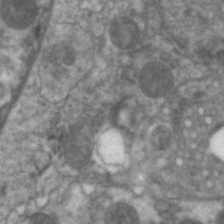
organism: C. elegans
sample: Pharynx